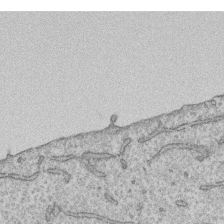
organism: Human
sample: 1205lu cells